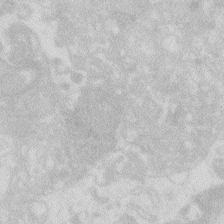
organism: Zebrafish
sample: Macrophage